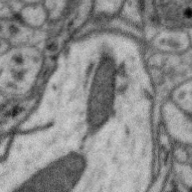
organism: Zebra finch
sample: Brain